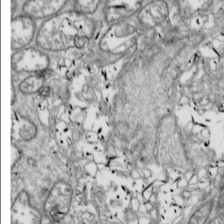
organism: Drosophila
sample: Cell division; meiosis; drosophila spermatocytes